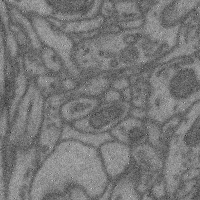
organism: Mouse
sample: Cerebral cortex